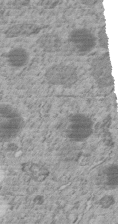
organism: C. elegans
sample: C. elegans embryo early stage